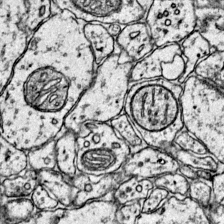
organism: Mouse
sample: Primary visual cortex